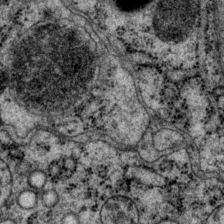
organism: P. pacificus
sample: Pharynx